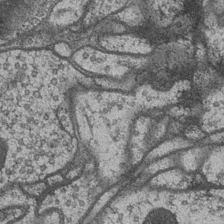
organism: Drosophila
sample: Optic medulla